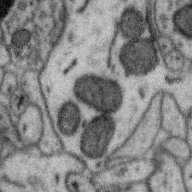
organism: Zebra finch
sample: Brain